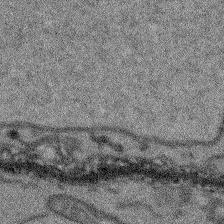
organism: Arabidopsis thaliana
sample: Root tip